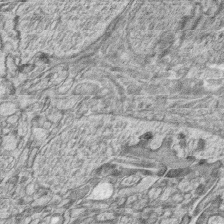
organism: Zebrafish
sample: synaptic ribbons in rod cells and cone cells